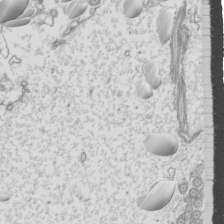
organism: Mouse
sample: Cilia; mouse epididymis